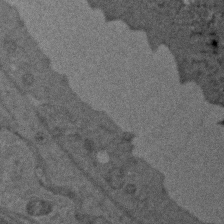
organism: Zebrafish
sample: Zebrafish embryo